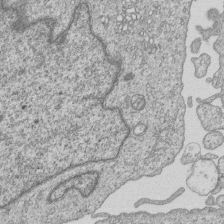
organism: Human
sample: MDA-MB-231 cells